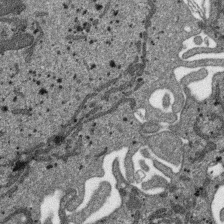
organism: Human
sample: Lung epithelial cells infected with SARS-CoV-2